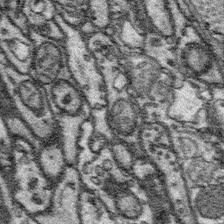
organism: Platynereis dumerilii